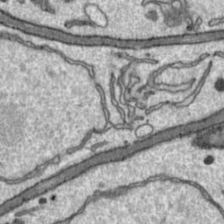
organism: Toxoplasma gondii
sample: Parasites in a vacuole inside a host cell